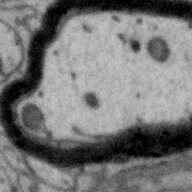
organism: Zebra finch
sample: Brain